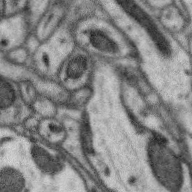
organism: Zebra finch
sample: Brain